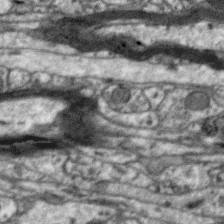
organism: Zebra finch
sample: Brain